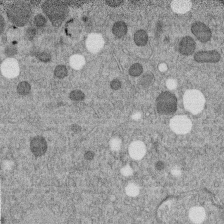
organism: C. elegans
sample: C. elegans embryo early stage